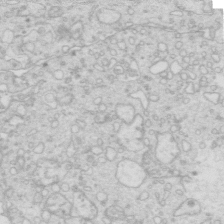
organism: Mouse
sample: Multiciliated cells